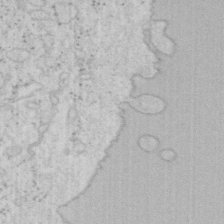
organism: Human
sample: HeLa cells